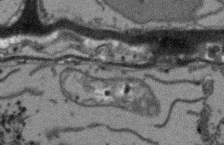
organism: Arabidopsis thaliana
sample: Root tip